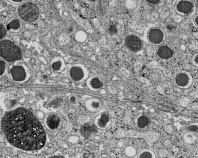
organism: C57BL Mouse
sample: Pancreatic islet